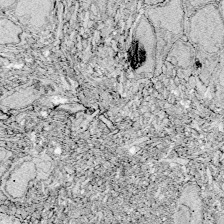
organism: Zebrafish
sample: Whole-Brain